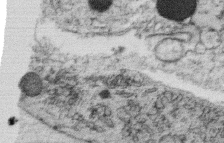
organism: C. elegans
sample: C. elegans oocyte; sperm cells